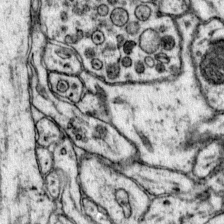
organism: Mouse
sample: Primary visual cortex